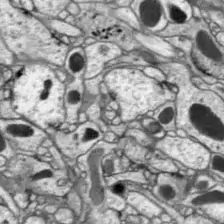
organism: Drosophila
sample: Optic lobe